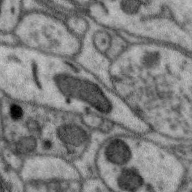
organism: Zebra finch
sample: Brain